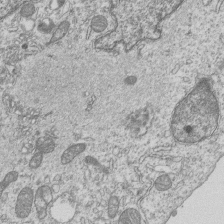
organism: Human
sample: MDA-MB-231 cells